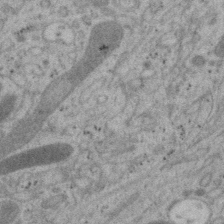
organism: Human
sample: HeLa cells